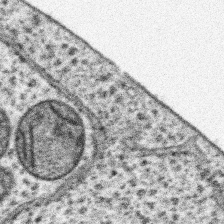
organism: Human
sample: HeLa cells